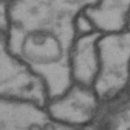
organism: Drosophila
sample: Brain